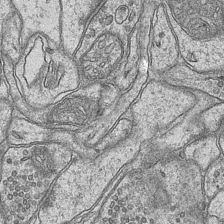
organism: Mouse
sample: CA1 Hippocampus